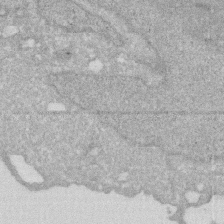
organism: Human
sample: HIV infected U937 cells